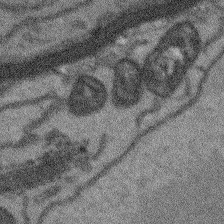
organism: Arabidopsis thaliana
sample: Root tip